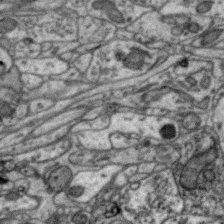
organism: Zebra finch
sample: Brain